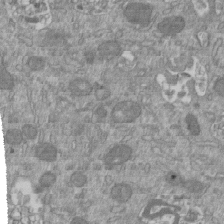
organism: Mouse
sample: ED-1 cell nuclei; centrioles